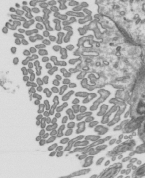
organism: Mouse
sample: Mouse epididymis efferent ductule cilia